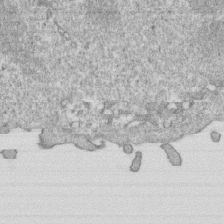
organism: Mouse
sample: Activated OT-1 CD8+ T cells